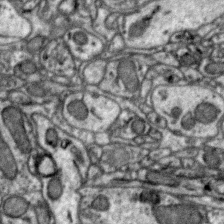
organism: Zebra finch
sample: Brain